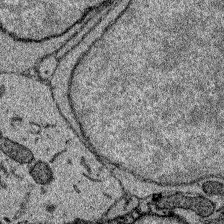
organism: Zebrafish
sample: Larval olfactory bulb